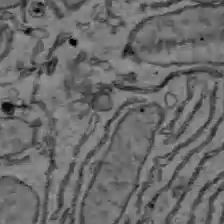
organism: C57BL Mouse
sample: Liver